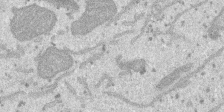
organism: Human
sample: Lung epithelial cells infected with SARS-CoV-2